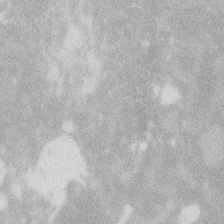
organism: Zebrafish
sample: Macrophage